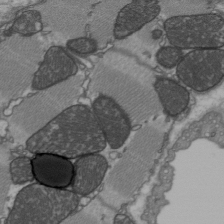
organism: C57BL Mouse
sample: Heart